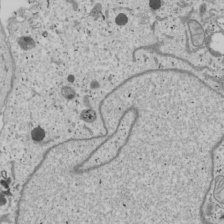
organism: Human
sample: Mitochondria in U2OS cells